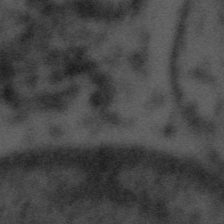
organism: Tuwongella immobilis